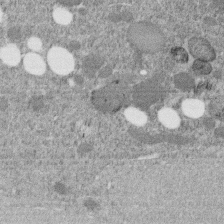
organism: C. elegans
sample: C. elegans embryo early stage